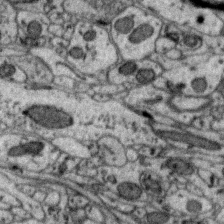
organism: Zebra finch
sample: Brain